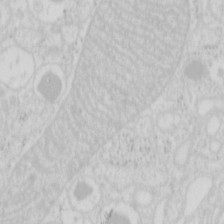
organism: Mouse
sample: Pancreas